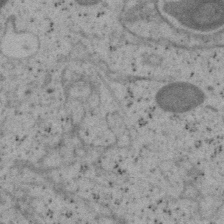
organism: Human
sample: HeLa cells